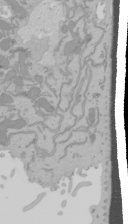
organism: Mouse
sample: Cancer cell death in ED-1 cells